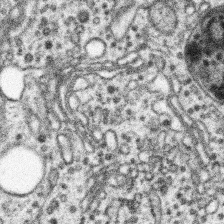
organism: Human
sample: HeLa cells